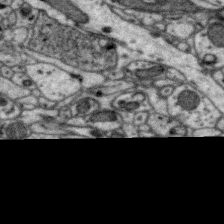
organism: Zebra finch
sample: Brain